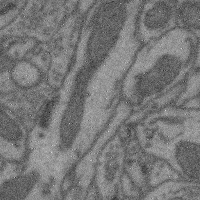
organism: Mouse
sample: Cerebral cortex